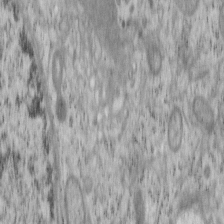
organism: Human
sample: HeLa cells